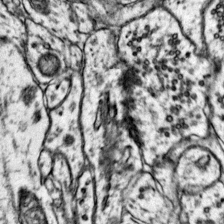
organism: Mouse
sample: Primary visual cortex